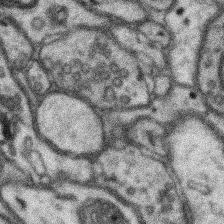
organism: Mouse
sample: Somatosensory cortex neuropil